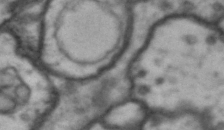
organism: Drosophila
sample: Brain